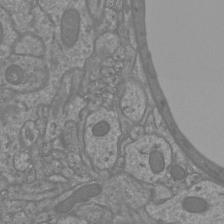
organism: Mouse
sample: Cortical neurons